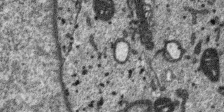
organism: Human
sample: Lung epithelial cells infected with SARS-CoV-2